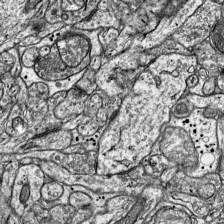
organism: Mouse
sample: Visual Cortex